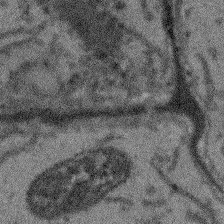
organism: Arabidopsis thaliana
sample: Root tip